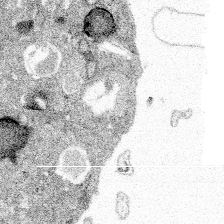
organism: Spongilla lacustris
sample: Multiple